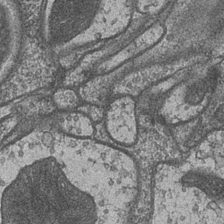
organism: Drosophila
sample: Optic medulla